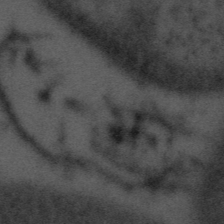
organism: Tuwongella immobilis